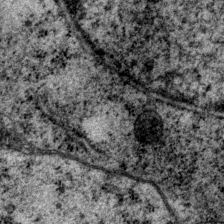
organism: P. pacificus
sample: Pharynx